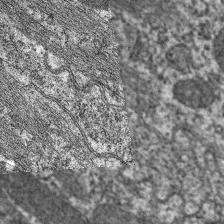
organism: C. elegans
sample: Pharynx